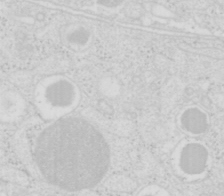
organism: Mouse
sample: Pancreas